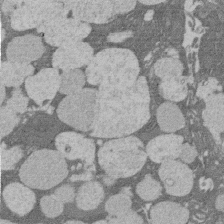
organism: Rat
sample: Salivary granule